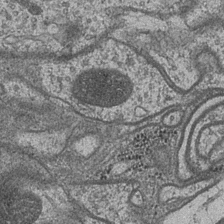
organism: Drosophila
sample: Optic medulla